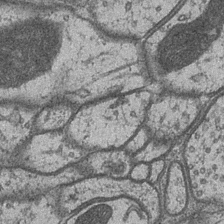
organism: Drosophila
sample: Optic medulla